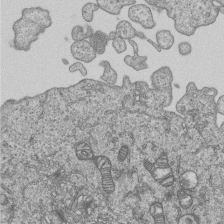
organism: Human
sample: MDA-MB-231 cells